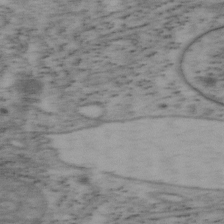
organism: Mouse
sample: OT-I killer T cells with ID8 ovarian cancer cells